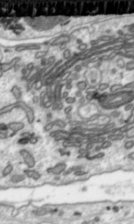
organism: Toxoplasma gondii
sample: Parasites in a vacuole inside a host cell